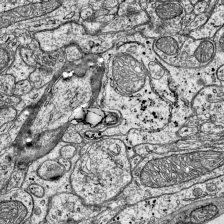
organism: Mouse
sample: Visual Cortex